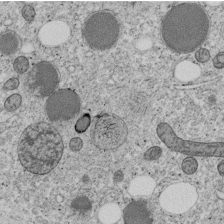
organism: C. elegans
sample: C. elegans embryo early stage